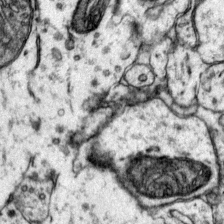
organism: Mouse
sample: Primary visual cortex